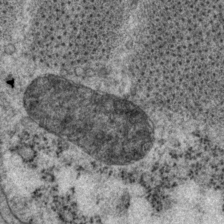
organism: P. pacificus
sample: Pharynx